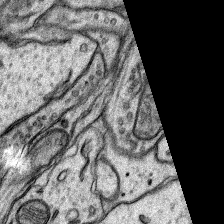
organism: Rat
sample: Hippocampus